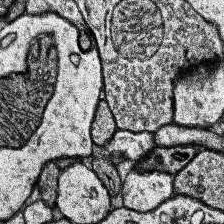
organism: Human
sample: Temporal Lobe